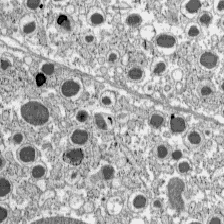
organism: C57BL Mouse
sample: Pancreatic islet